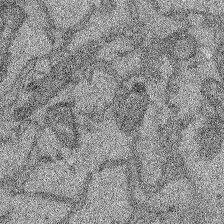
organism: Human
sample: HeLa cells